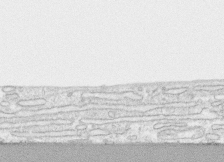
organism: Human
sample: CRL-1474